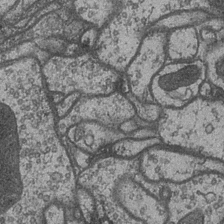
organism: Drosophila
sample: Optic medulla